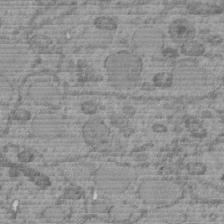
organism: C. elegans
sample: C. elegans embryo early stage